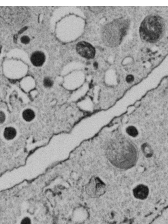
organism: C. elegans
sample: C. elegans embryo early stage